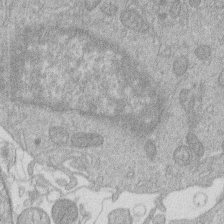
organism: Human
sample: Macrophage cells